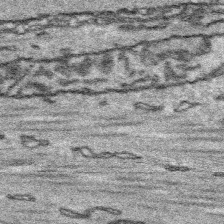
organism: Platynereis dumerilii